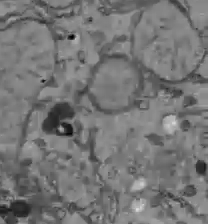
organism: C57BL Mouse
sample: Liver